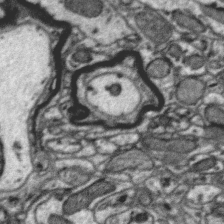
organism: Zebra finch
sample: Brain